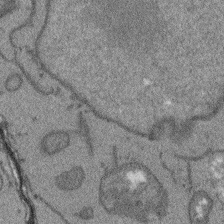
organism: Arabidopsis thaliana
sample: Root tip